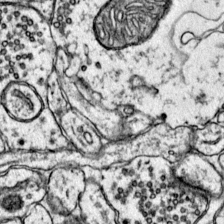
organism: Mouse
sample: Primary visual cortex